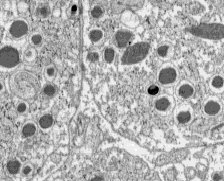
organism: C57BL Mouse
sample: Pancreatic islet